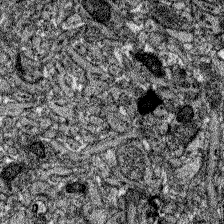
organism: Zebrafish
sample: Larval olfactory bulb